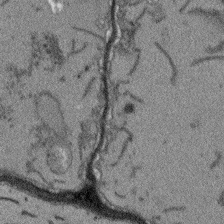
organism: Arabidopsis thaliana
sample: Root tip